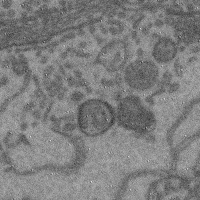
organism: Mouse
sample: Cerebral cortex